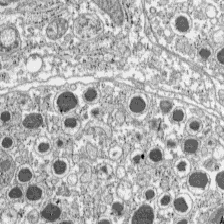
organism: C57BL Mouse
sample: Pancreatic islet